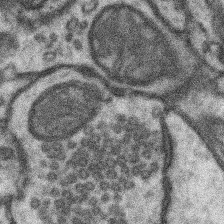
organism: Mouse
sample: Somatosensory cortex neuropil